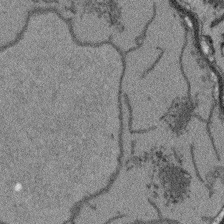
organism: Arabidopsis thaliana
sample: Root tip